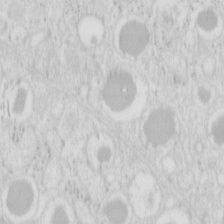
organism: Mouse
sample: Pancreas